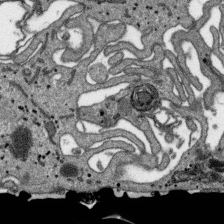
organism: Human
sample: Lung epithelial cells, uninfected (mock) control